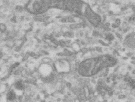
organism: Human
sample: Centriole in RPE cells